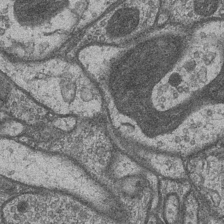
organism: Drosophila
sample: Optic medulla